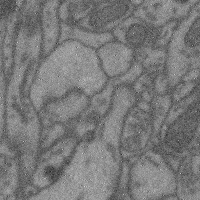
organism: Mouse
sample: Cerebral cortex